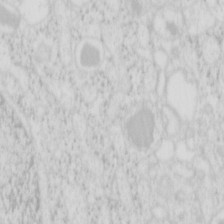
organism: Mouse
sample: Pancreas